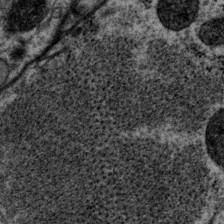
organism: P. pacificus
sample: Pharynx